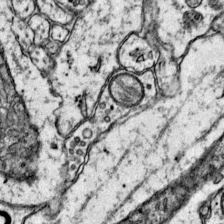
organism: Mouse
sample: Primary visual cortex